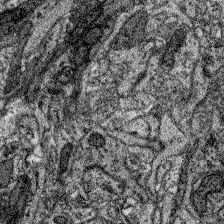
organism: Zebrafish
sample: Larval olfactory bulb